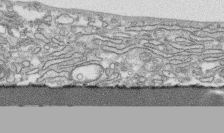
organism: Human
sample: CRL-1474